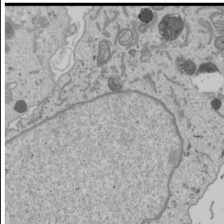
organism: Human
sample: Mitochondria in U2OS cells